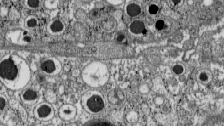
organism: C57BL Mouse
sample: Pancreatic islet